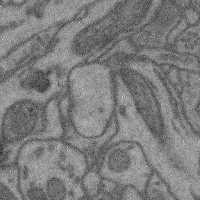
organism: Mouse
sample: Cerebral cortex